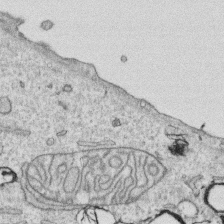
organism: Human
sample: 1205lu cells